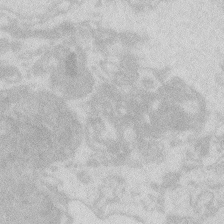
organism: Zebrafish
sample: Macrophage